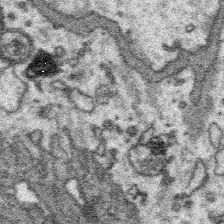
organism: Platynereis dumerilii